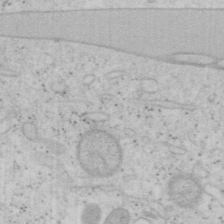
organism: Human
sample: HeLa cells